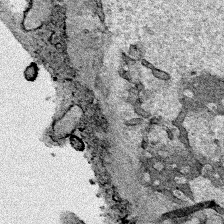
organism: Human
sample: Mitochondria in HCT116 cells